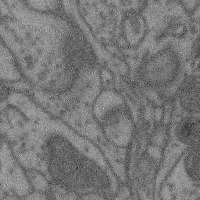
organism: Mouse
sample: Cerebral cortex